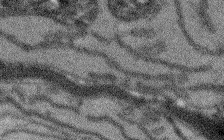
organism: Arabidopsis thaliana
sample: Root tip